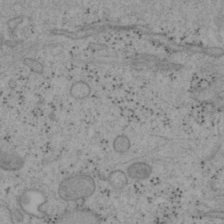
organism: Human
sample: HeLa cells